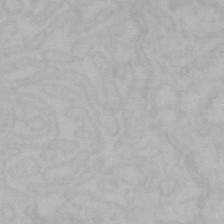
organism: Mouse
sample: Choroid plexus